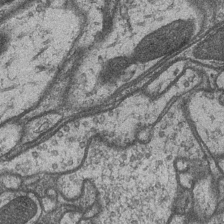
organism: Drosophila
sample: Optic medulla